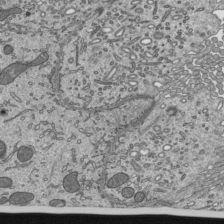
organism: Mouse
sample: Mouse epididymis efferent ductule cilia